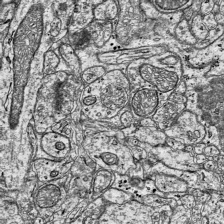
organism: Mouse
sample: Visual Cortex